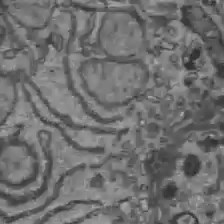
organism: C57BL Mouse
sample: Liver